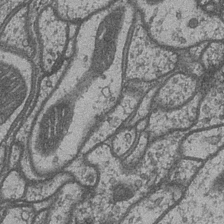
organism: Drosophila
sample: Optic medulla